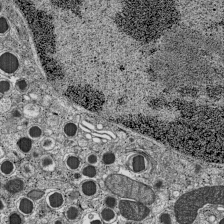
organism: C57BL Mouse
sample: Pancreatic islet